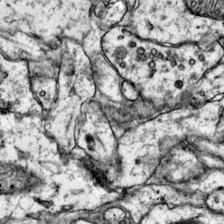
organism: Mouse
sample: Primary visual cortex